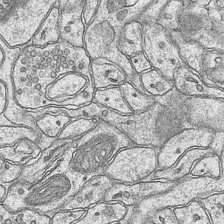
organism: Mouse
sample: CA1 Hippocampus